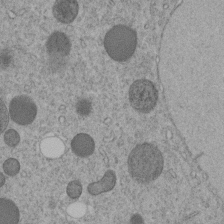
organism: C. elegans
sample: C. elegans embryo early stage